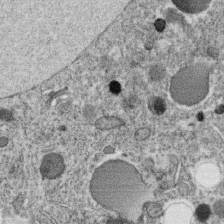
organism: C. elegans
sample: C. elegans oocyte; sperm cells